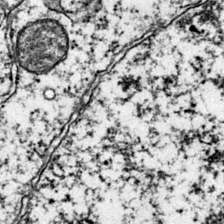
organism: Mouse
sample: Primary visual cortex